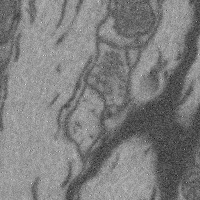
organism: Mouse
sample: Cerebral cortex